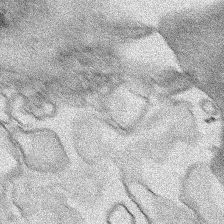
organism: Human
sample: Mitochondria in HCT116 cells